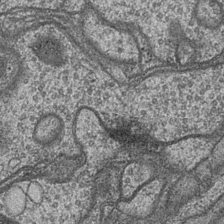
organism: Drosophila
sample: Optic medulla